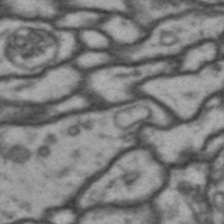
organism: Drosophila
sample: Brain